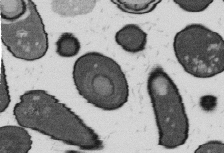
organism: B. subtilis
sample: Bacterial spore